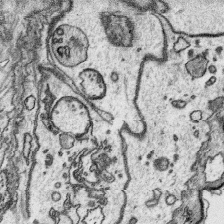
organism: Platynereis dumerilii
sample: Parapodia